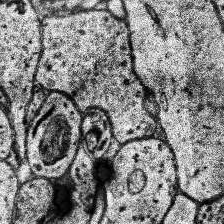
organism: Human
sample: Temporal Lobe